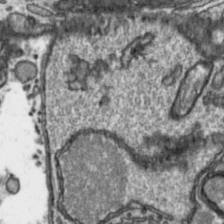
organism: Toxoplasma gondii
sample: Parasites in a vacuole inside a host cell